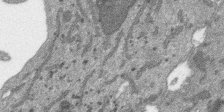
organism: Human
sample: Lung epithelial cells infected with SARS-CoV-2